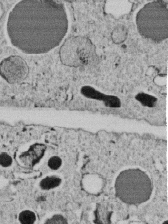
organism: C. elegans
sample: C. elegans embryo early stage